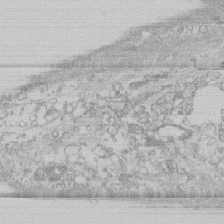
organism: Human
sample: CRL-1474